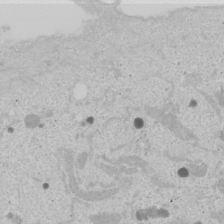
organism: Human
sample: Mitochondria in U2OS cells